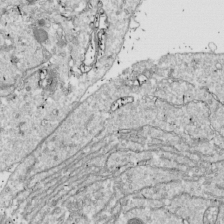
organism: Drosophila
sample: Cell division; meiosis; drosophila spermatocytes